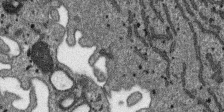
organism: Human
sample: Lung epithelial cells infected with SARS-CoV-2